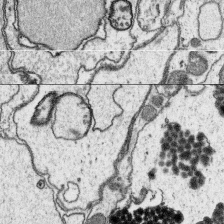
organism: Platynereis dumerilii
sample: Parapodia